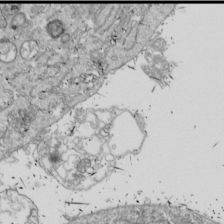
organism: Drosophila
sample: Cell division; meiosis; drosophila spermatocytes